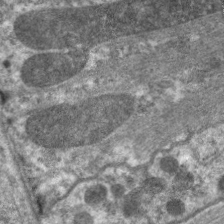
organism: C. elegans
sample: Pharynx